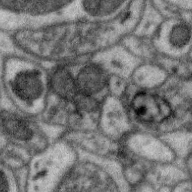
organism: Zebra finch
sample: Brain